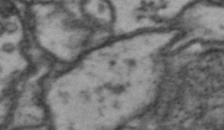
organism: Drosophila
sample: Brain